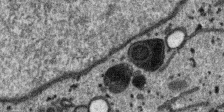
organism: Human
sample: Lung epithelial cells infected with SARS-CoV-2